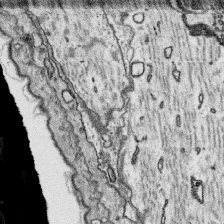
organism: Platynereis dumerilii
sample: Parapodia